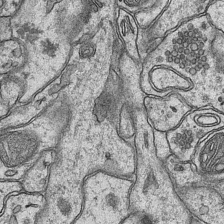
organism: Mouse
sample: CA1 Hippocampus